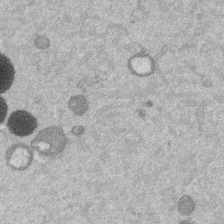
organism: Mouse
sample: Dividing mouse embryo 1 cell stage